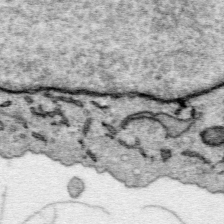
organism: Human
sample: HeLa cells